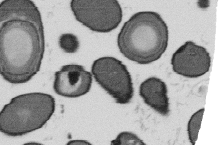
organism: B. subtilis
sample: Bacterial spore